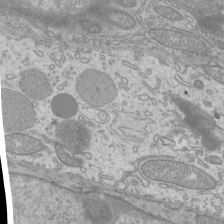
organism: Mouse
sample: Cilia; mouse epididymis